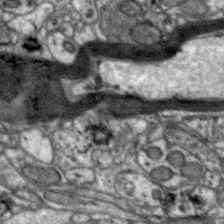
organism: Zebra finch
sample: Brain